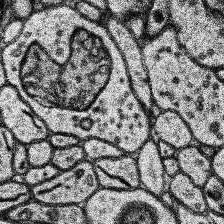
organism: Human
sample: Temporal Lobe